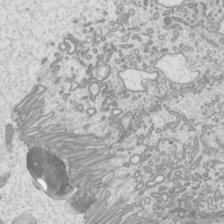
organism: Mouse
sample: Cilia; mouse epididymis